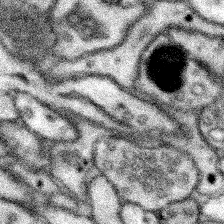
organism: Mouse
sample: Somatosensory cortex neuropil